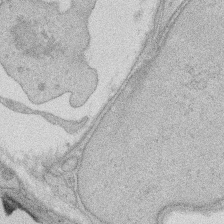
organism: Rat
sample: Salivary granule